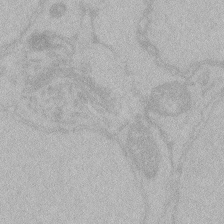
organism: Zebrafish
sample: Macrophage infected with Toxoplasma gondii